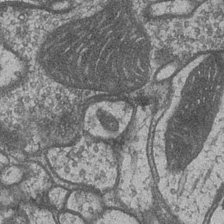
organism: Drosophila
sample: Optic medulla